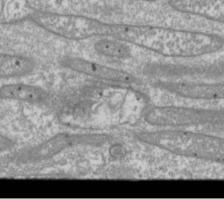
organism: Drosophila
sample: Cell division; meiosis; drosophila spermatocytes